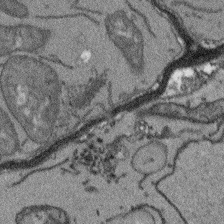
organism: Arabidopsis thaliana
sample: Root tip